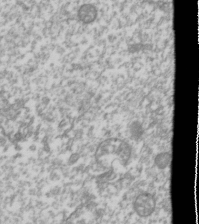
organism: Drosophila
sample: Cell division; meiosis; drosophila spermatocytes